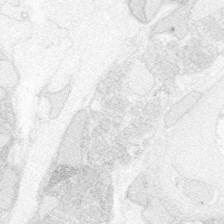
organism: Zebrafish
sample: Whole-Brain